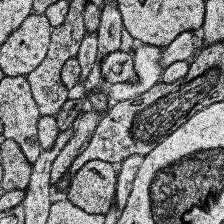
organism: Human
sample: Temporal Lobe